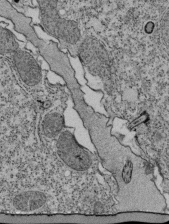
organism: Tetrahymena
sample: Cilia in tetrahymena